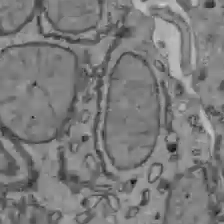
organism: C57BL Mouse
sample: Liver